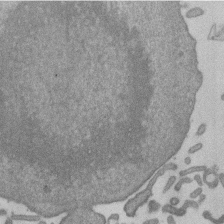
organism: Mouse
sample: Dividing mouse embryo 1 cell stage